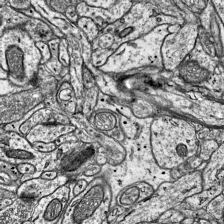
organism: Mouse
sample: Visual Cortex